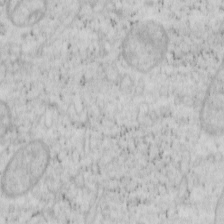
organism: Human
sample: HeLa cells